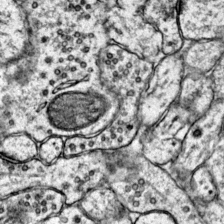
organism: Mouse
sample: Primary visual cortex